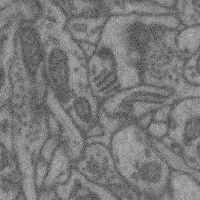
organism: Mouse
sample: Cerebral cortex